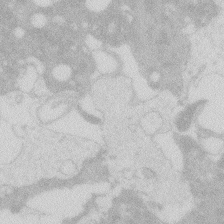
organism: Zebrafish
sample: Macrophage